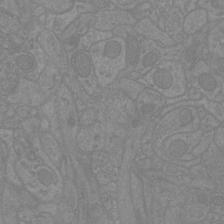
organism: Mouse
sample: Cortical neurons